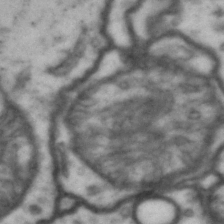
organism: Drosophila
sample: Brain